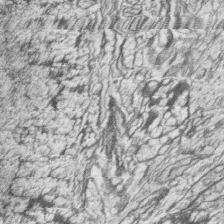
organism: Zebrafish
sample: synaptic ribbons in rod cells and cone cells